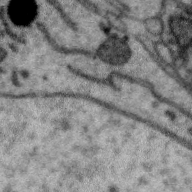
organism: Zebra finch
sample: Brain